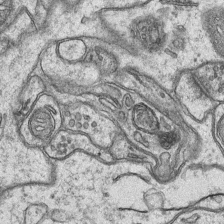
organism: Mouse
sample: CA1 Hippocampus